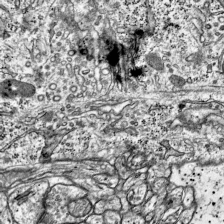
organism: Mouse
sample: Visual Cortex